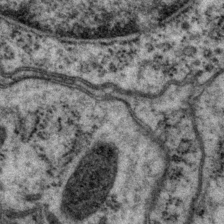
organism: P. pacificus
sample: Pharynx